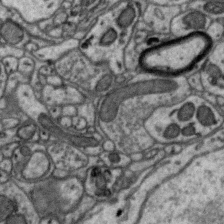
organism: Zebra finch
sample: Brain